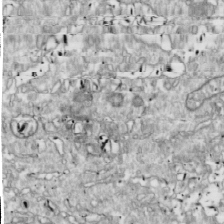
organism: Drosophila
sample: Cell division; meiosis; drosophila spermatocytes